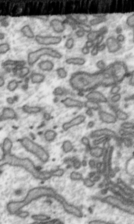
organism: Toxoplasma gondii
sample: Parasites in a vacuole inside a host cell